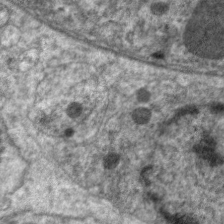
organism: C. elegans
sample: Pharynx